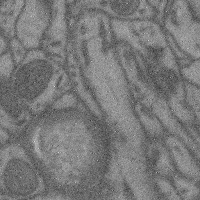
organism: Mouse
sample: Cerebral cortex